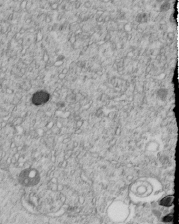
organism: C. elegans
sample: C. elegans embryo early stage